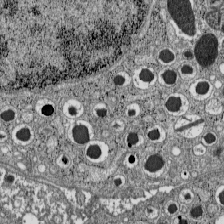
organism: C57BL Mouse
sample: Pancreatic islet